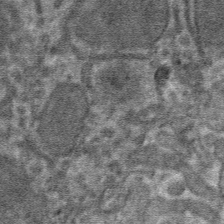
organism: Mouse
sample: Mouse hepatocytes